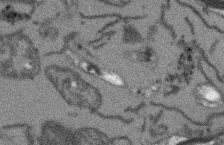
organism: Arabidopsis thaliana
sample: Root tip